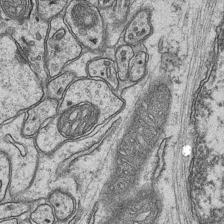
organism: Mouse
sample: CA1 Hippocampus